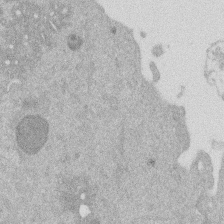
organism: Mouse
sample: Dividing mouse embryo 1 cell stage